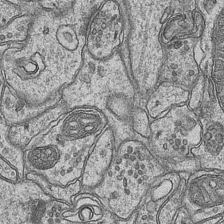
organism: Mouse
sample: CA1 Hippocampus